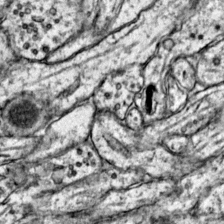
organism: Mouse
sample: Primary visual cortex